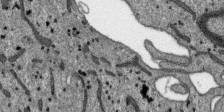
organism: Human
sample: Lung epithelial cells, uninfected (mock) control